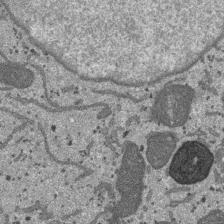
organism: Human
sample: Lung epithelial cells infected with SARS-CoV-2